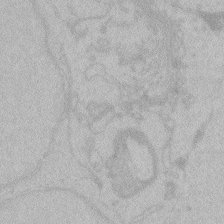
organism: Zebrafish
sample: Macrophage infected with Toxoplasma gondii